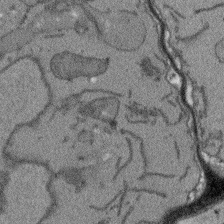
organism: Arabidopsis thaliana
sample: Root tip